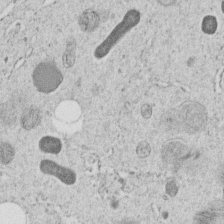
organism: C. elegans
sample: C. elegans embryo early stage